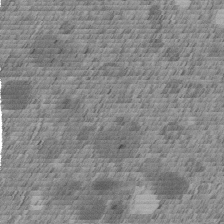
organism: C. elegans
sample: C. elegans embryo early stage